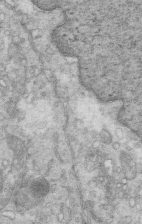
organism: Mouse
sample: Multiciliated cells